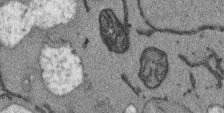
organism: Arabidopsis thaliana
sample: Root tip